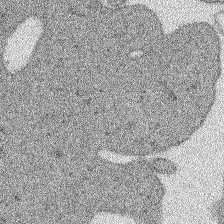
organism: Human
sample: HeLa cells